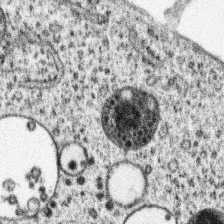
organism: Human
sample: HeLa cells